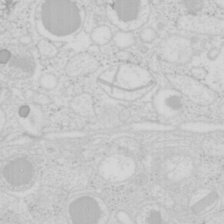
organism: Mouse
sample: Pancreas